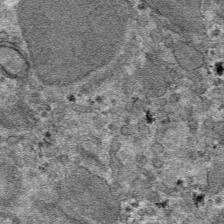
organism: Mouse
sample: Mouse hepatocytes